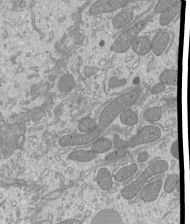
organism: Mouse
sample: Cilia; mouse epididymis